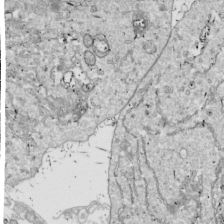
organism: Drosophila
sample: Cell division; meiosis; drosophila spermatocytes